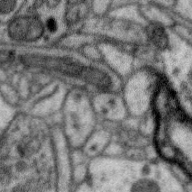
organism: Zebra finch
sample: Brain